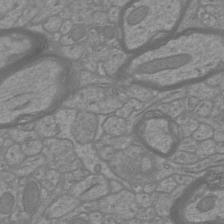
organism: Mouse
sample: Cortical neurons